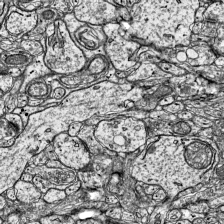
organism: Mouse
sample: Visual Cortex